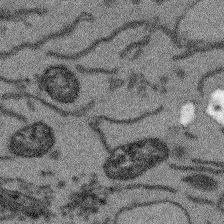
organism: Arabidopsis thaliana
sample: Root tip